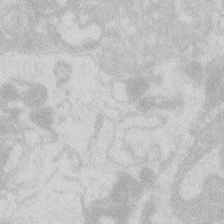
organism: Zebrafish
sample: Macrophage